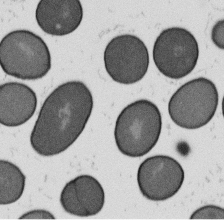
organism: B. subtilis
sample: Bacterial spore